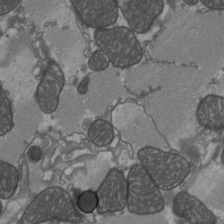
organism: C57BL Mouse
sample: Heart